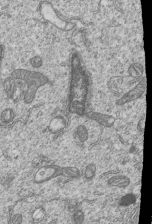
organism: Human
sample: MDA-MB-231 cells